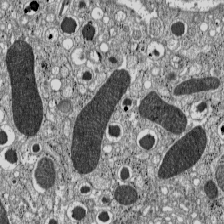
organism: C57BL Mouse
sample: Pancreatic islet